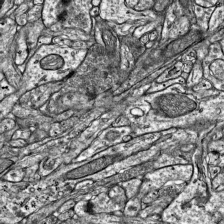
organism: Mouse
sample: Visual Cortex